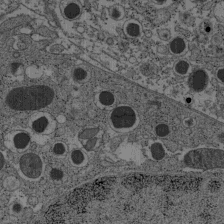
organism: C57BL Mouse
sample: Pancreatic islet